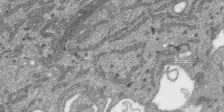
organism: Human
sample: Lung epithelial cells infected with SARS-CoV-2